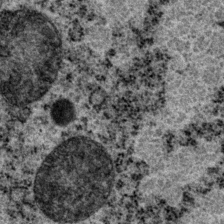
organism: P. pacificus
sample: Pharynx